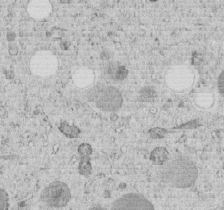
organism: C. elegans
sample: C. elegans embryo early stage